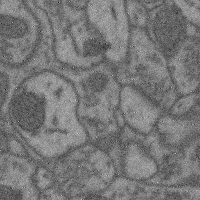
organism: Mouse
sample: Cerebral cortex